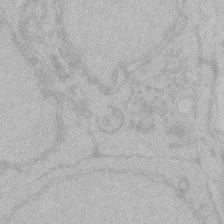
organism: Zebrafish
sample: Macrophage infected with Toxoplasma gondii